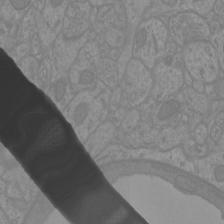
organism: Mouse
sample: Cortical neurons